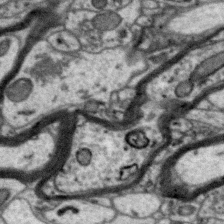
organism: Zebra finch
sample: Brain